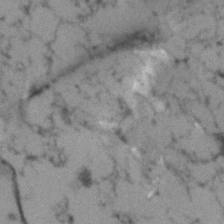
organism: Human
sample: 1205lu cells